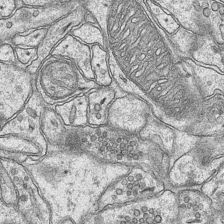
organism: Mouse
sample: CA1 Hippocampus